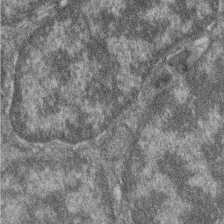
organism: Zebrafish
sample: Cilia; retinal pigment epithelium